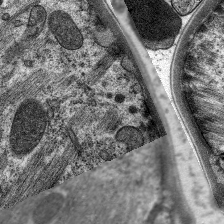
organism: C. elegans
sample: Pharynx